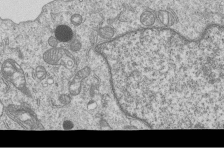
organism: Human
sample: MDA-MB-231 cells